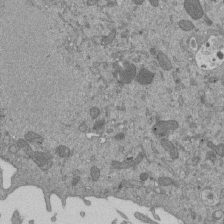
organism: Mouse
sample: ED-1 cell nuclei; centrioles